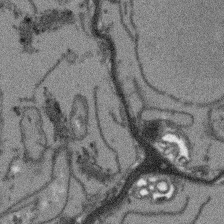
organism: Arabidopsis thaliana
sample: Root tip